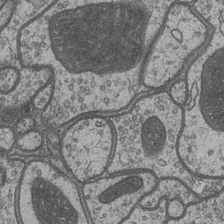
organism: Drosophila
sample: Optic medulla